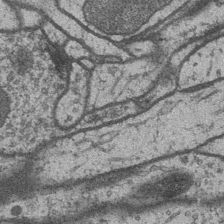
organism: Drosophila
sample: Optic medulla